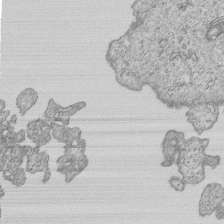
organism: Human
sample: MDA-MB-231 cells